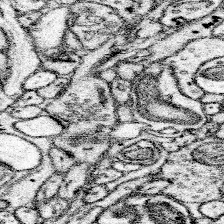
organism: Mouse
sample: Somatosensory cortex neuropil